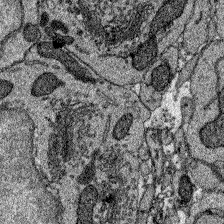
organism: Zebrafish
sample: Larval olfactory bulb